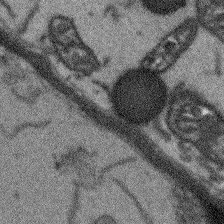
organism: Arabidopsis thaliana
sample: Root tip